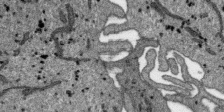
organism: Human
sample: Lung epithelial cells, uninfected (mock) control